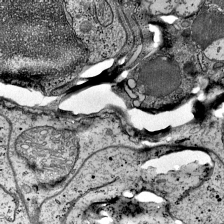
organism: Mouse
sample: Visual Cortex